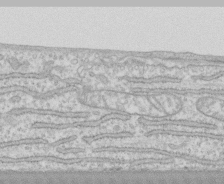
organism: Human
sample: CRL-1474